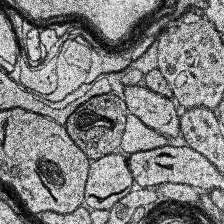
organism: Human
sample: Temporal Lobe